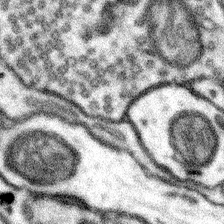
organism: Mouse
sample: Somatosensory cortex neuropil